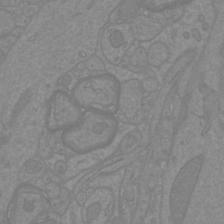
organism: Mouse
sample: Cortical neurons